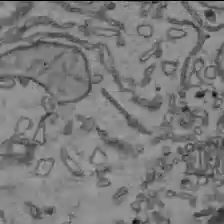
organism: C57BL Mouse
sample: Liver